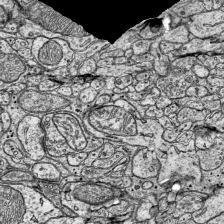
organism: Mouse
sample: Visual Cortex